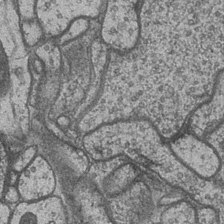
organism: Drosophila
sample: Optic medulla